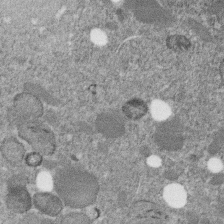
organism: C. elegans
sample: C. elegans embryo early stage